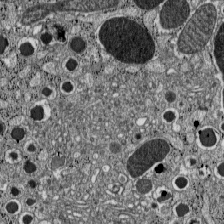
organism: C57BL Mouse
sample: Pancreatic islet